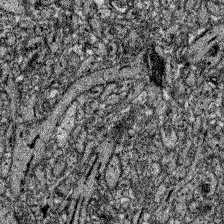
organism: Zebrafish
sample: Larval olfactory bulb